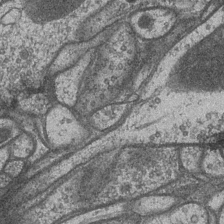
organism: Drosophila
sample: Optic medulla